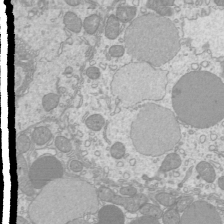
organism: Mouse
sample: Cilia; mouse epididymis